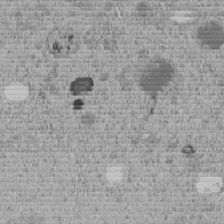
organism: C. elegans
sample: C. elegans embryo early stage